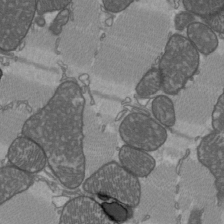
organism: C57BL Mouse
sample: Heart